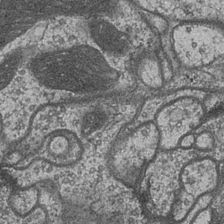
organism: Drosophila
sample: Optic medulla